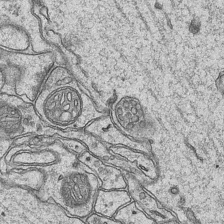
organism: Mouse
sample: CA1 Hippocampus